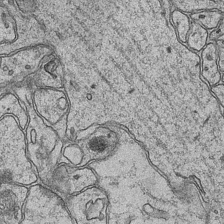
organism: Mouse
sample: CA1 Hippocampus